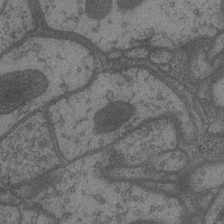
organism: Drosophila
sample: Optic medulla